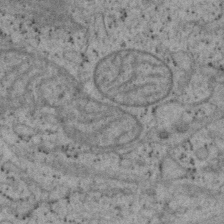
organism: Human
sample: HeLa cells